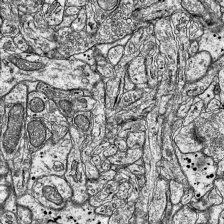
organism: Mouse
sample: Visual Cortex